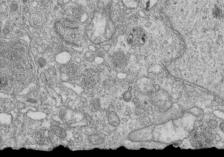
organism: Human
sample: HeLa cell HIV synapse